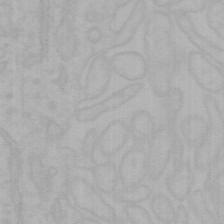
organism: Mouse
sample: Choroid plexus